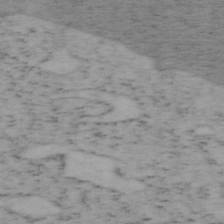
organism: Mouse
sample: OT-I killer T cells with ID8 ovarian cancer cells